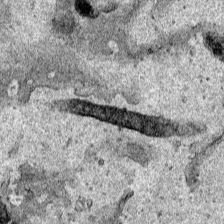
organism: Human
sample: Mitochondria in HCT116 cells